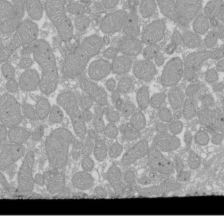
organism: Xenopus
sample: Cilia; centrioles in frog embryo cells